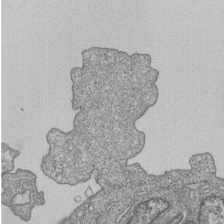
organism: Human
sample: MDA-MB-231 cells